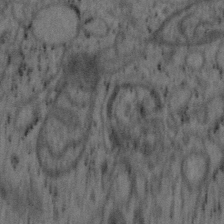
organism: Human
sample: HeLa cells